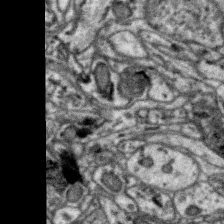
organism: Zebra finch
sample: Brain